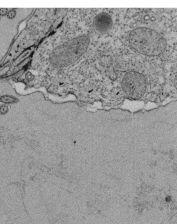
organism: Tetrahymena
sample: Cilia in tetrahymena